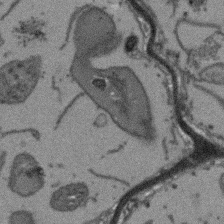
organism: Arabidopsis thaliana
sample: Root tip